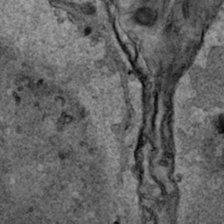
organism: Human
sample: Mitochondria in HCT116 cells